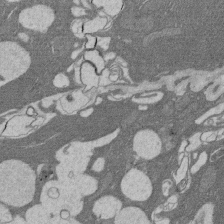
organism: Rat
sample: Salivary granule